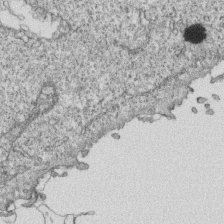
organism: Human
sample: HeLa cell HIV synapse